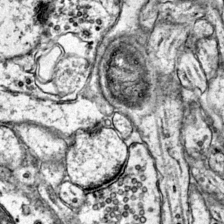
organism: Mouse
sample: Primary visual cortex